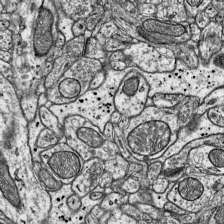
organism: Mouse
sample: Visual Cortex